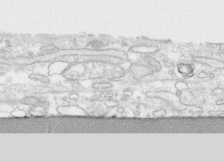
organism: Human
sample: CRL-1474